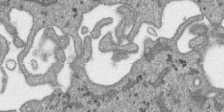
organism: Human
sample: Lung epithelial cells infected with SARS-CoV-2